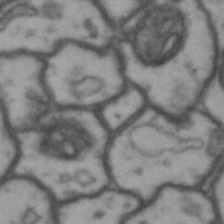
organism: Drosophila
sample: Brain